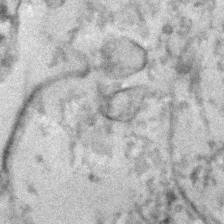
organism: Human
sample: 1205lu cells